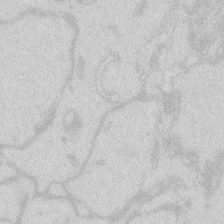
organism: Zebrafish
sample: Macrophage